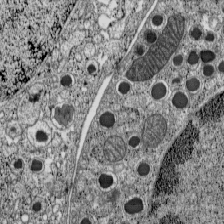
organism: C57BL Mouse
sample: Pancreatic islet